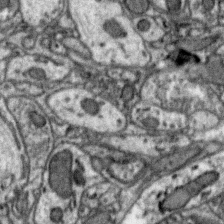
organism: Zebra finch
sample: Brain